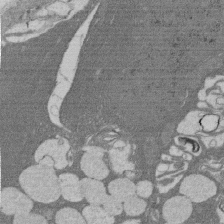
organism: Rat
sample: Salivary granule